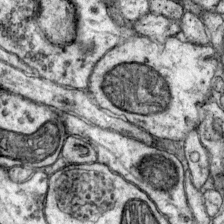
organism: Mouse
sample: Primary visual cortex